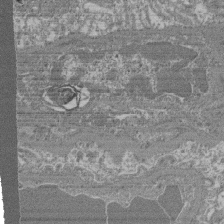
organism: Mouse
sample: Glomerulus